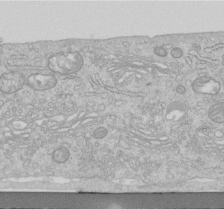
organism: Human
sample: Centriole in RPE cells